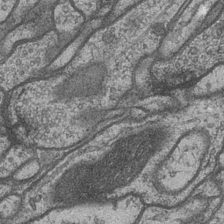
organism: Drosophila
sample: Optic medulla